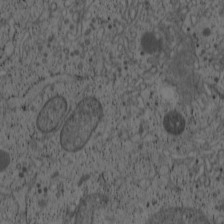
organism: African green monkey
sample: COS-7 cells